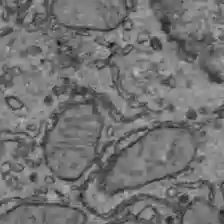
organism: C57BL Mouse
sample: Liver